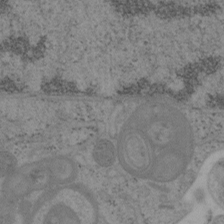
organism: Mouse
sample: OT-I killer T cells with ID8 ovarian cancer cells